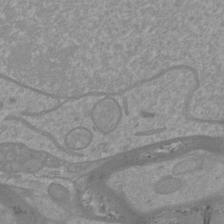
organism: Mouse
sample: Cortical neurons